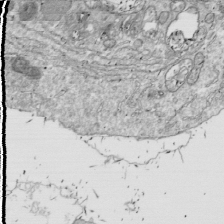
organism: Drosophila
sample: Cell division; meiosis; drosophila spermatocytes